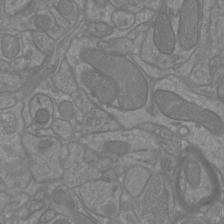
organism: Mouse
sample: Cortical neurons